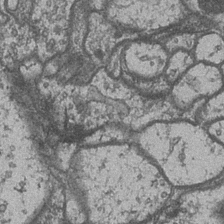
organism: Drosophila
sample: Optic medulla